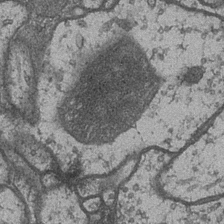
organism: Drosophila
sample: Optic medulla